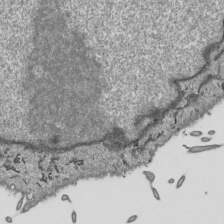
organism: Human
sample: Mitochondria in HCT116 cells